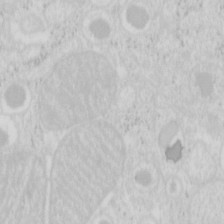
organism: Mouse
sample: Pancreas